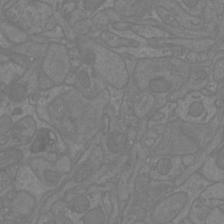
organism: Mouse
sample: Cortical neurons